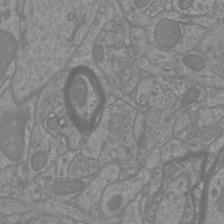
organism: Mouse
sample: Cortical neurons